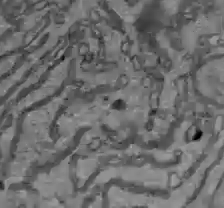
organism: C57BL Mouse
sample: Liver